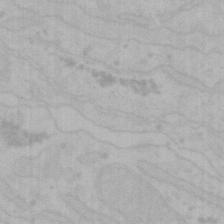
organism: Mouse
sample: Choroid plexus